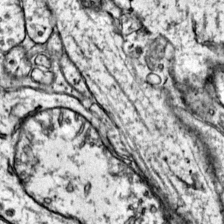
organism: Mouse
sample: Primary visual cortex